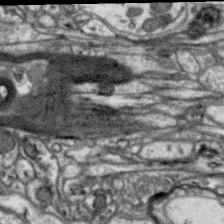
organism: Zebra finch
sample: Brain